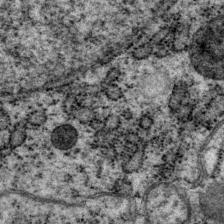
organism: P. pacificus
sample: Pharynx